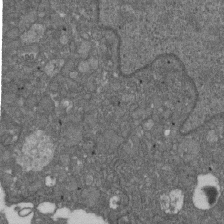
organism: Drosophila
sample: Nephrocyte